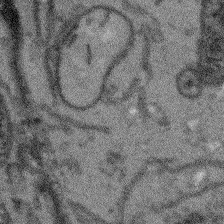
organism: Arabidopsis thaliana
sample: Root tip